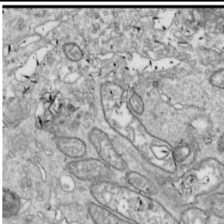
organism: Drosophila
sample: Cell division; meiosis; drosophila spermatocytes